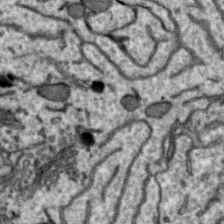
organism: Zebra finch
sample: Brain